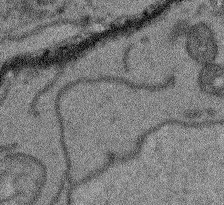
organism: Arabidopsis thaliana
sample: Root tip